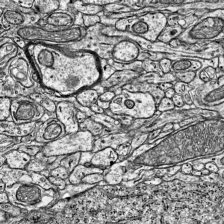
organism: Mouse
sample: Visual Cortex